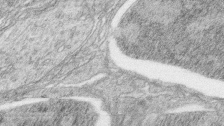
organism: Zebrafish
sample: synaptic ribbons in rod cells and cone cells